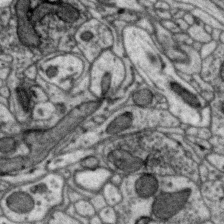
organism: Zebra finch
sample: Brain